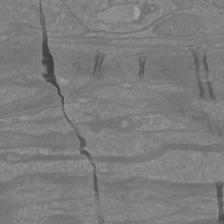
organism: Mouse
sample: Cortical neurons